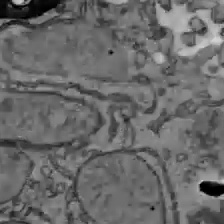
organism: C57BL Mouse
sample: Liver